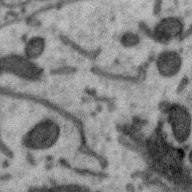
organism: Zebra finch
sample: Brain